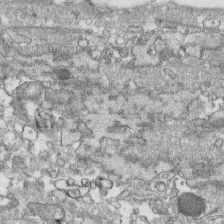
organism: Human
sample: CRL-1474